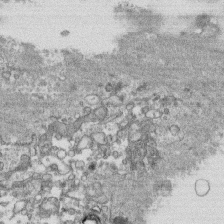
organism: Human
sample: CRL-1474